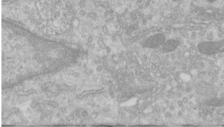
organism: Human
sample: Centriole in RPE cells